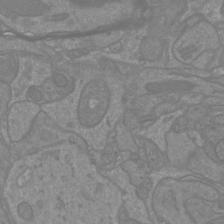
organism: Mouse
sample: Cortical neurons